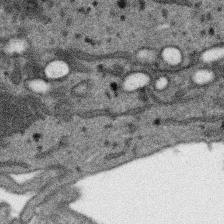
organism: Human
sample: Lung epithelial cells infected with SARS-CoV-2